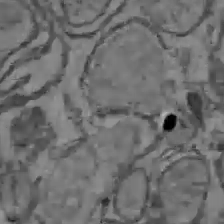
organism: C57BL Mouse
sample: Liver